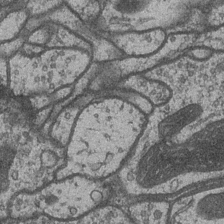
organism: Drosophila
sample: Optic medulla